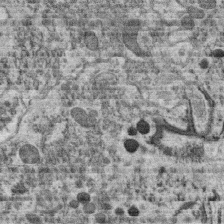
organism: C. elegans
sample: C. elegans oocyte; sperm cells